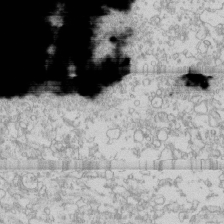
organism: Human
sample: CRL-1474